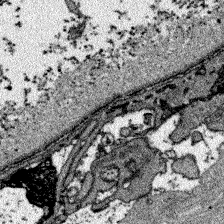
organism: Zebrafish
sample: Larval olfactory bulb